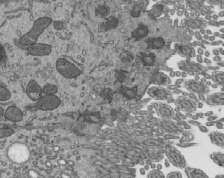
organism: Mouse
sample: Mouse epididymis efferent ductule cilia